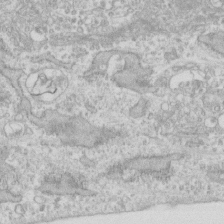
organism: Human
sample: Fibroblast cells